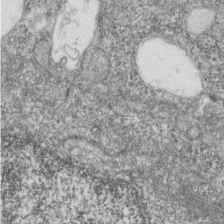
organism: Zebrafish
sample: Cilia; retinal pigment epithelium